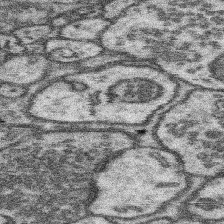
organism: Mouse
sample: Somatosensory cortex neuropil